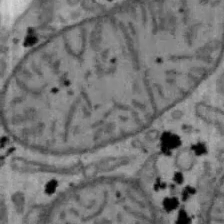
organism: Mouse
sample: Liver